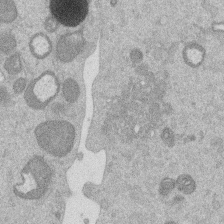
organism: Mouse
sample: Dividing mouse embryo 1 cell stage